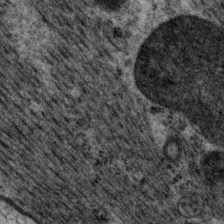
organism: P. pacificus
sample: Pharynx